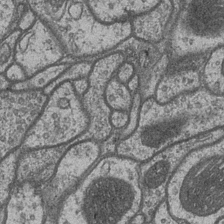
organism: Drosophila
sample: Optic medulla